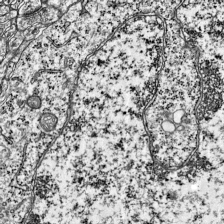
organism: Mouse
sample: Visual Cortex